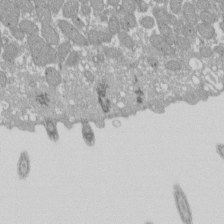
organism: Xenopus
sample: Cilia; centrioles in frog embryo cells